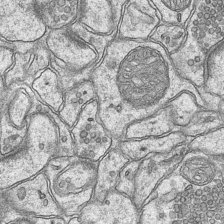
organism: Mouse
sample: CA1 Hippocampus